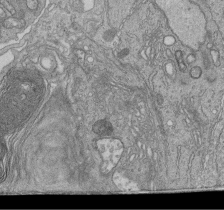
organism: Human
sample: Retinal organoid Rod and Cone cells